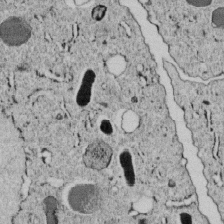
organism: C. elegans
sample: C. elegans embryo early stage